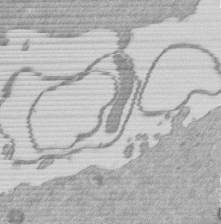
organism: Mouse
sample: Dividing mouse embryo 1 cell stage